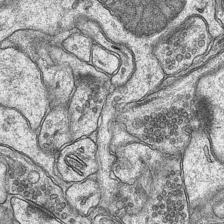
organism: Mouse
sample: CA1 Hippocampus